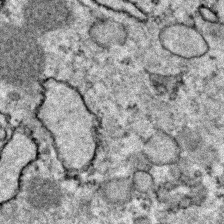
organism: Zebrafish